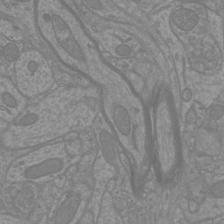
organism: Mouse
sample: Cortical neurons